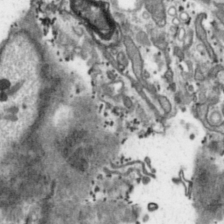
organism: Toxoplasma gondii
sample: Parasites in a vacuole inside a host cell